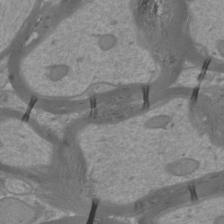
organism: Mouse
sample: Cortical neurons